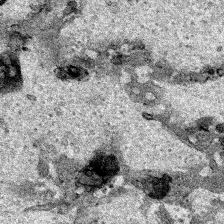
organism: Human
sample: Mitochondria in HCT116 cells